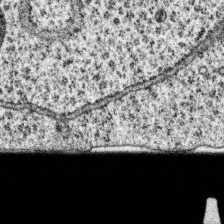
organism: Human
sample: HeLa cells